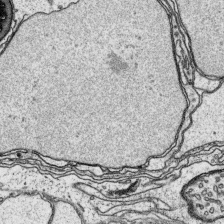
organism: Platynereis dumerilii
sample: Parapodia